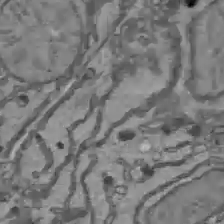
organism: C57BL Mouse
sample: Liver